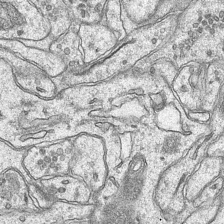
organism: Mouse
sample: CA1 Hippocampus